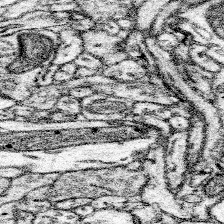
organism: Mouse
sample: Somatosensory cortex neuropil